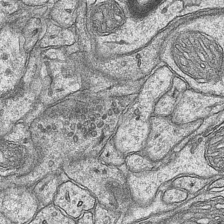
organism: Mouse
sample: CA1 Hippocampus